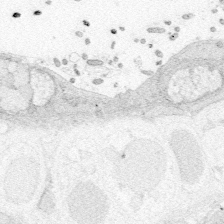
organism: Zebrafish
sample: Whole-Brain